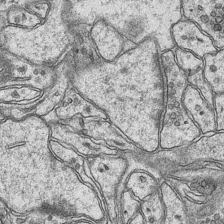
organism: Mouse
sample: CA1 Hippocampus